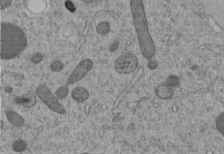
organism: C. elegans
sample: C. elegans embryo early stage